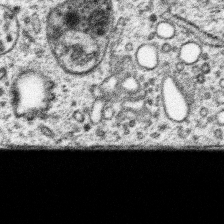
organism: Human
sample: HeLa cells